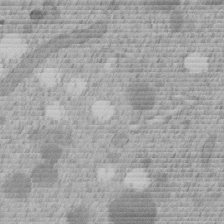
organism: C. elegans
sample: C. elegans embryo early stage